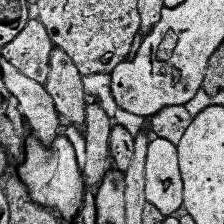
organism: Human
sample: Temporal Lobe